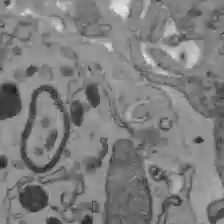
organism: C57BL Mouse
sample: Liver